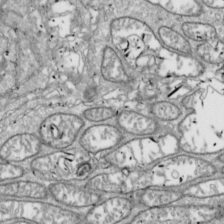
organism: Drosophila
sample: Cell division; meiosis; drosophila spermatocytes